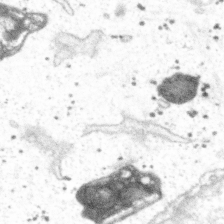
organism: Human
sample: HeLa cells